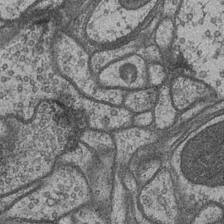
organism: Drosophila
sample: Optic medulla